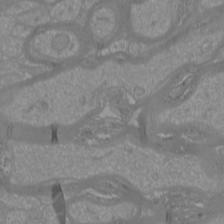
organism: Mouse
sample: Cortical neurons